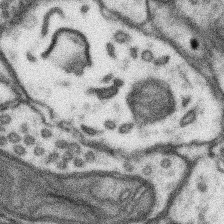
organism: Mouse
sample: Somatosensory cortex neuropil